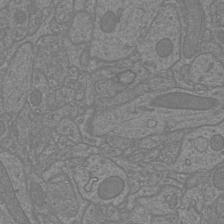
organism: Mouse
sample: Cortical neurons